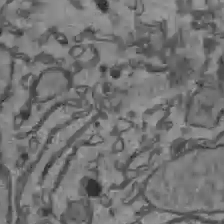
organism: C57BL Mouse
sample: Liver